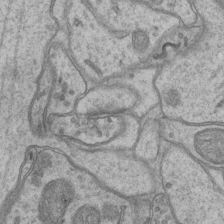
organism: Mouse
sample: CA1 Hippocampus